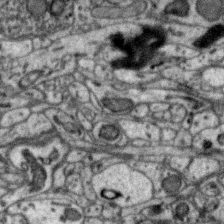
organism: Zebra finch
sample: Brain